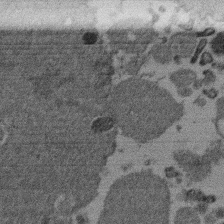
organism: Mouse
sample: Dividing mouse embryo 1 cell stage